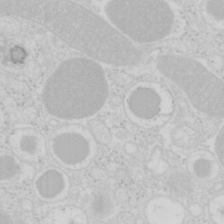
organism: Mouse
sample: Pancreas